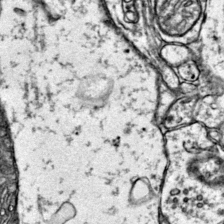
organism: Mouse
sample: Primary visual cortex